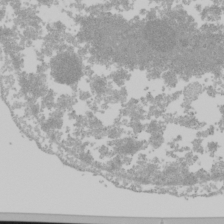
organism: Mouse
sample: Cancer cell death in ED-1 cells